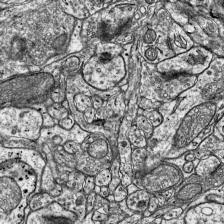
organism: Mouse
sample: Visual Cortex